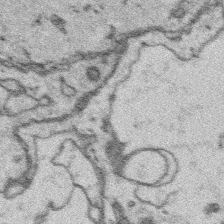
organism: Platynereis dumerilii